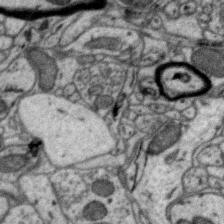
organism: Zebra finch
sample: Brain